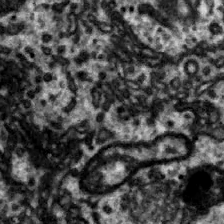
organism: Human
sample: HeLa cells